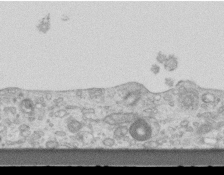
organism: Mouse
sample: Centriole in ependymal cells